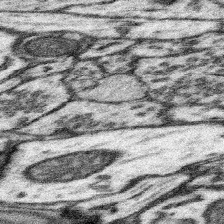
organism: Mouse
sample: Somatosensory cortex neuropil